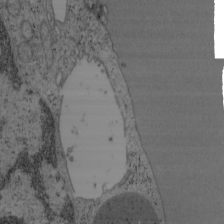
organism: Mouse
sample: OT-I killer T cells with ID8 ovarian cancer cells